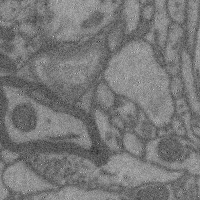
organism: Mouse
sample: Cerebral cortex